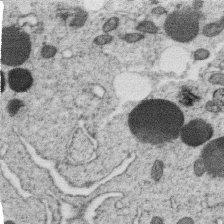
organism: C. elegans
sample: C. elegans oocyte; sperm cells